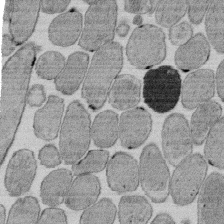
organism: E. coli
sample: Bacterial nucleoid